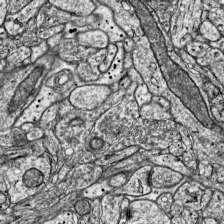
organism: Mouse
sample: Visual Cortex